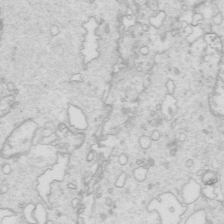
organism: Mouse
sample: Multiciliated cells